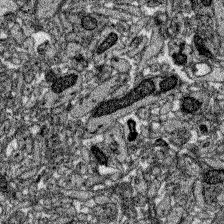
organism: Zebrafish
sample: Larval olfactory bulb